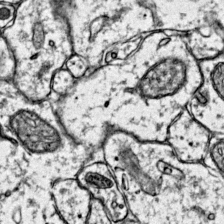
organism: Mouse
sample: Primary visual cortex